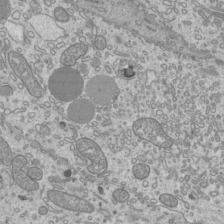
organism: Mouse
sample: Cilia; mouse epididymis